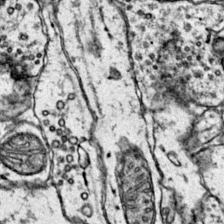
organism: Mouse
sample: Primary visual cortex